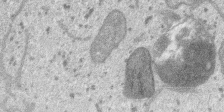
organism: Human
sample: Lung epithelial cells infected with SARS-CoV-2